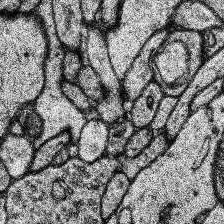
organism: Human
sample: Temporal Lobe